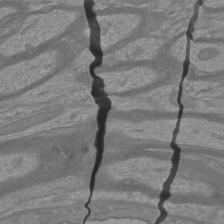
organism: Mouse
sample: Cortical neurons